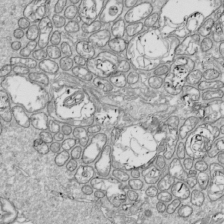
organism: Drosophila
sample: Cell division; meiosis; drosophila spermatocytes